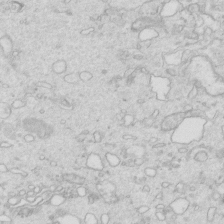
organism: Mouse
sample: Multiciliated cells